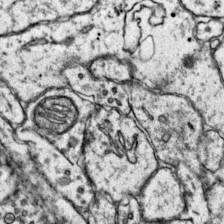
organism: Mouse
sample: Primary visual cortex